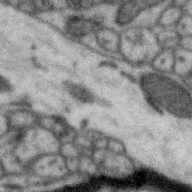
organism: Zebra finch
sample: Brain